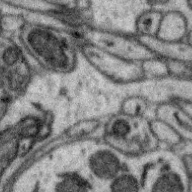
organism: Zebra finch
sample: Brain